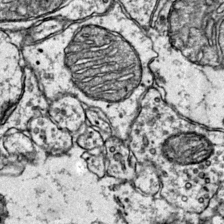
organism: Mouse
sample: Primary visual cortex